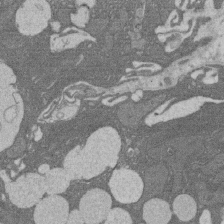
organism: Rat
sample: Salivary granule